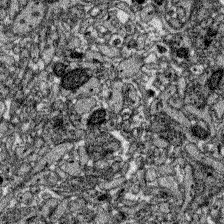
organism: Zebrafish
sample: Larval olfactory bulb